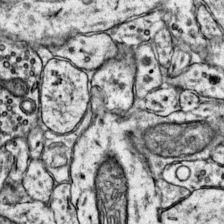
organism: Mouse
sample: Primary visual cortex